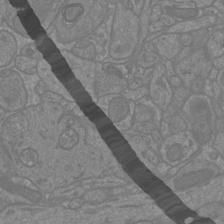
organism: Mouse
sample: Cortical neurons